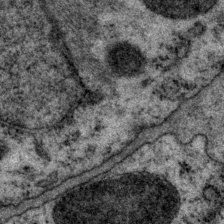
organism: P. pacificus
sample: Pharynx